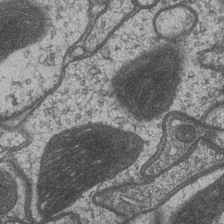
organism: Drosophila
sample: Optic medulla